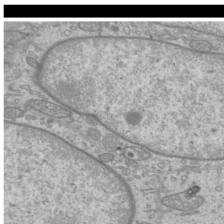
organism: Mouse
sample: Cilia; mouse epididymis